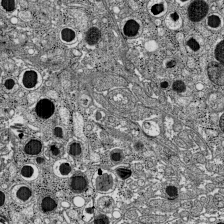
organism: C57BL Mouse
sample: Pancreatic islet